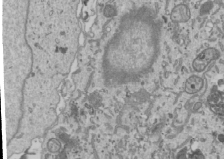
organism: Human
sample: Mitochondria in U2OS cells